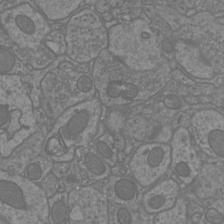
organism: Mouse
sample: Cortical neurons